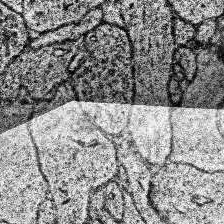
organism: Human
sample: Temporal Lobe